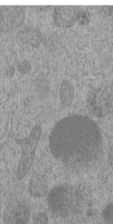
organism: C. elegans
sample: C. elegans embryo early stage